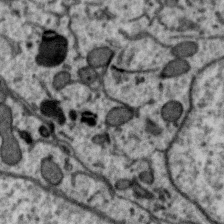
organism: Zebra finch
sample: Brain